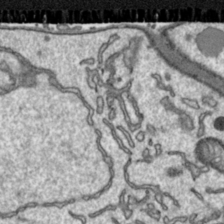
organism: Toxoplasma gondii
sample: Parasites in a vacuole inside a host cell